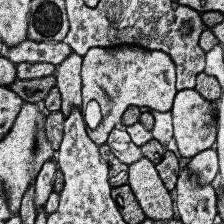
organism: Human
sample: Temporal Lobe